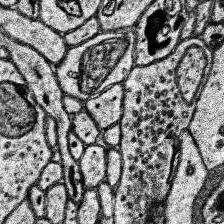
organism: Human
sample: Temporal Lobe